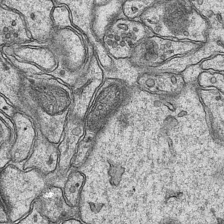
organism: Mouse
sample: CA1 Hippocampus